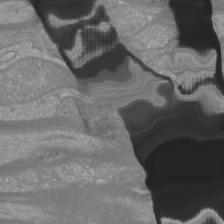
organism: Mouse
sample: Cortical neurons